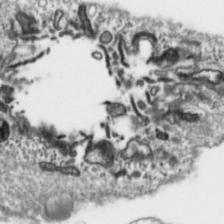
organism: Toxoplasma gondii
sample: Parasites in a vacuole inside a host cell